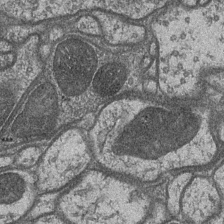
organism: Drosophila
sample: Optic medulla